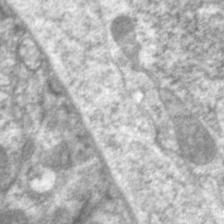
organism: C. elegans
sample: Pharynx